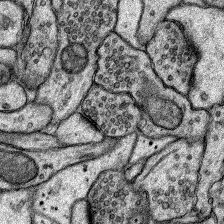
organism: Rat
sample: Hippocampus